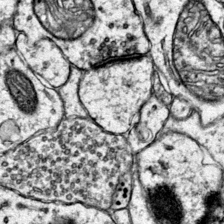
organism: Mouse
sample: Primary visual cortex